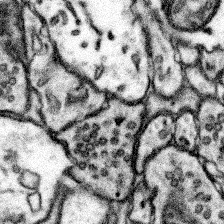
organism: Mouse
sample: Somatosensory cortex neuropil